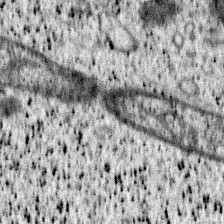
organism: Human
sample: HeLa cells